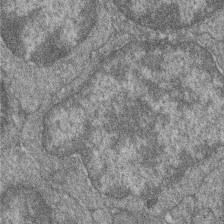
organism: Zebrafish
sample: Cilia; retinal pigment epithelium